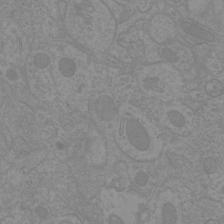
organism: Mouse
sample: Cortical neurons